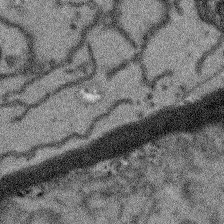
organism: Arabidopsis thaliana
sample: Root tip